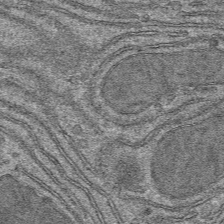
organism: Mouse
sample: Mouse hepatocytes